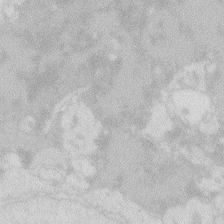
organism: Zebrafish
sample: Macrophage